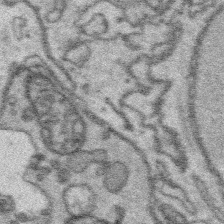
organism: Platynereis dumerilii